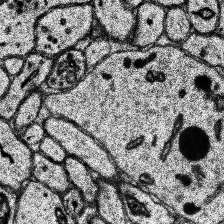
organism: Human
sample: Temporal Lobe